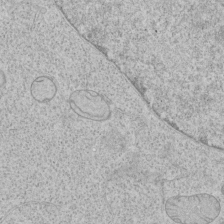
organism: Human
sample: Mitochondria in HCT116 cells